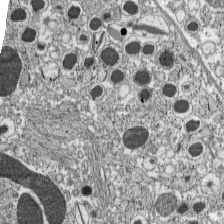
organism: C57BL Mouse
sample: Pancreatic islet